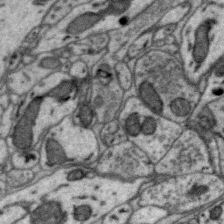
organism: Zebra finch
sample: Brain